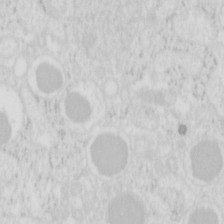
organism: Mouse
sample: Pancreas